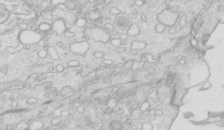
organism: Mouse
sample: Multiciliated cells